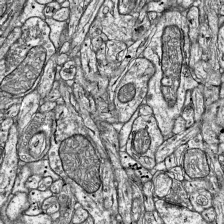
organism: Mouse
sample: Visual Cortex